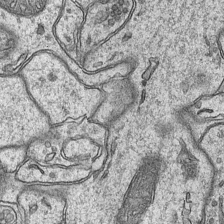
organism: Mouse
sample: CA1 Hippocampus